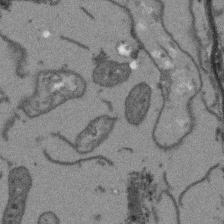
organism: Arabidopsis thaliana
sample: Root tip